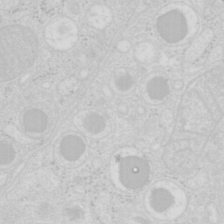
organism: Mouse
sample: Pancreas